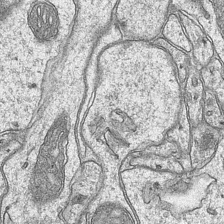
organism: Mouse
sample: CA1 Hippocampus